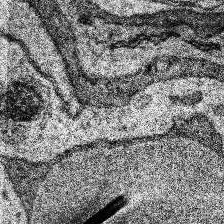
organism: Human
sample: Temporal Lobe